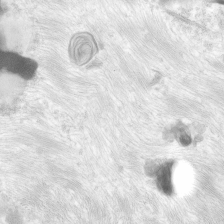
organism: Human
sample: Neocortex